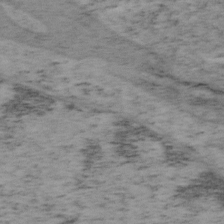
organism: Mouse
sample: OT-I killer T cells with ID8 ovarian cancer cells